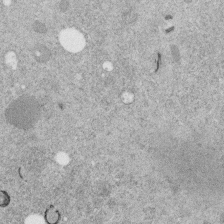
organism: C. elegans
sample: C. elegans embryo early stage